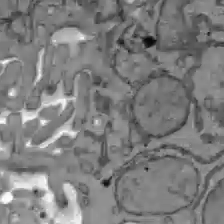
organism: C57BL Mouse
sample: Liver